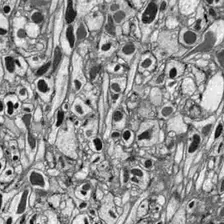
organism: Drosophila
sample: Optic lobe